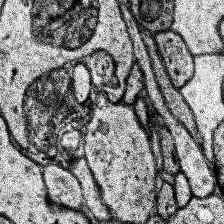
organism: Human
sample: Temporal Lobe